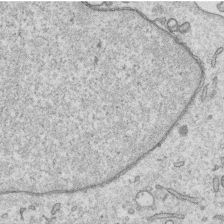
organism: Human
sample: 1205lu cells